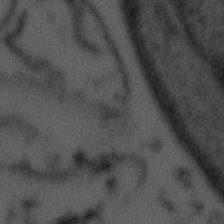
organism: Tuwongella immobilis